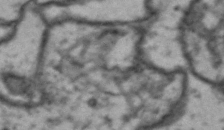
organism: Drosophila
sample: Brain